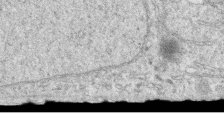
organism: Human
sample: HeLa cell HIV synapse